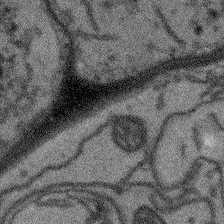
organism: Arabidopsis thaliana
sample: Root tip